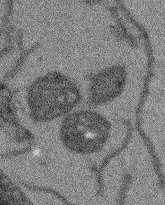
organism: Arabidopsis thaliana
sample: Root tip